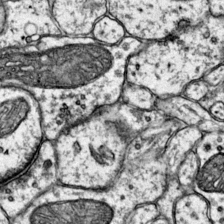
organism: Mouse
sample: Primary visual cortex